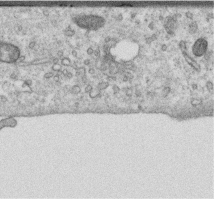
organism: Human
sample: Centriole in RPE cells